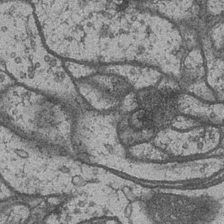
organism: Drosophila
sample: Optic medulla